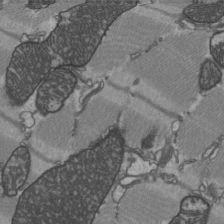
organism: C57BL Mouse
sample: Heart